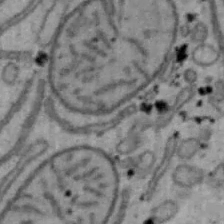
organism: Mouse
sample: Liver